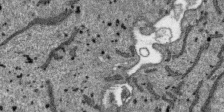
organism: Human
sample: Lung epithelial cells, uninfected (mock) control